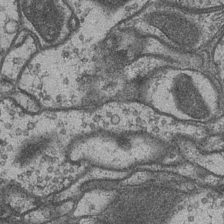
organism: Drosophila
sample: Optic medulla